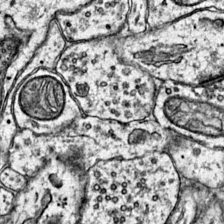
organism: Mouse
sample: Primary visual cortex